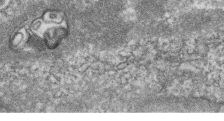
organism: Zebrafish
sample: Cilia; retinal pigment epithelium